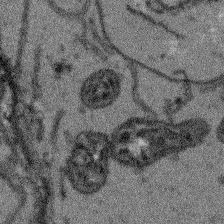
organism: Arabidopsis thaliana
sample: Root tip